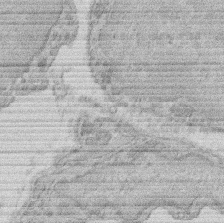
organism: Rat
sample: Salivary granule